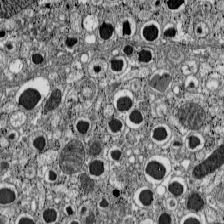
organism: C57BL Mouse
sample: Pancreatic islet